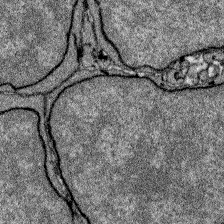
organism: Zebrafish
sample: Larval olfactory bulb